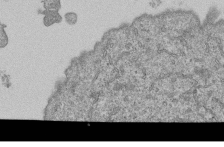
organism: Human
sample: MDA-MB-231 cells